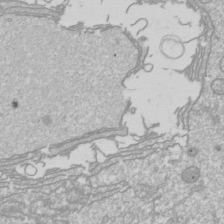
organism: Drosophila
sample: Cell division; meiosis; drosophila spermatocytes